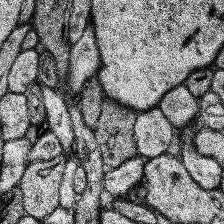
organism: Human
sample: Temporal Lobe